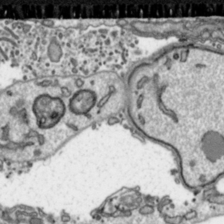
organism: Toxoplasma gondii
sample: Parasites in a vacuole inside a host cell